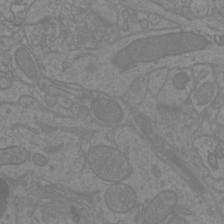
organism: Mouse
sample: Cortical neurons